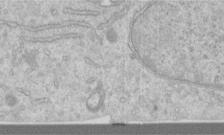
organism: Human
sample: Centriole in RPE cells